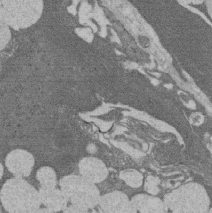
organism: Rat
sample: Salivary granule